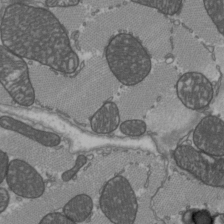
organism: C57BL Mouse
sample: Heart